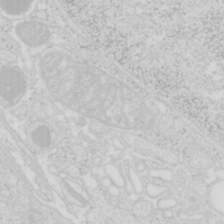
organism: Mouse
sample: Pancreas